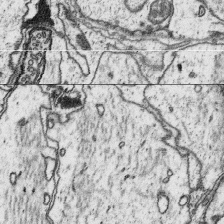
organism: Platynereis dumerilii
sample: Parapodia